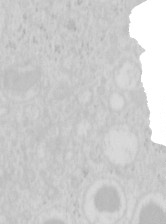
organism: Mouse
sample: Pancreas